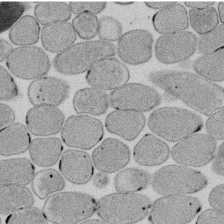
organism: E. coli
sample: Bacterial nucleoid